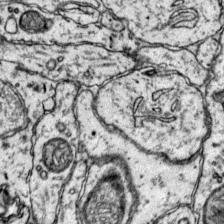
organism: Mouse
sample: Primary visual cortex